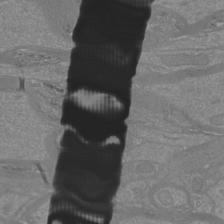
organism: Mouse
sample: Cortical neurons